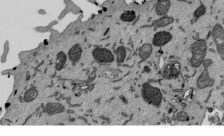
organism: Mouse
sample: ED-1 cell nuclei; centrioles